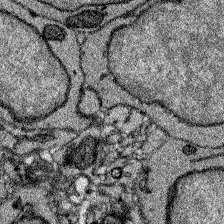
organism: Zebrafish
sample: Larval olfactory bulb